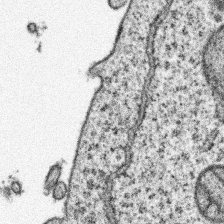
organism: Human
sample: HeLa cells